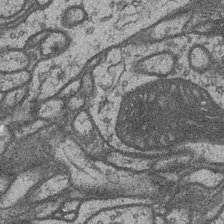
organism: Drosophila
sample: Optic medulla